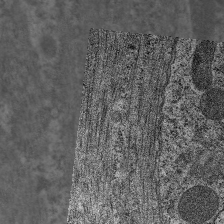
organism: C. elegans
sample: Pharynx